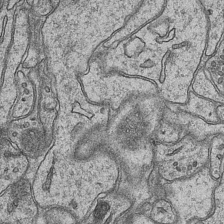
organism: Mouse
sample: CA1 Hippocampus